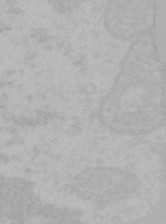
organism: Mouse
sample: Choroid plexus